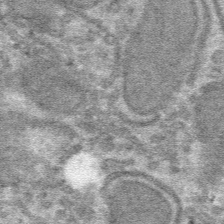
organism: Mouse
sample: Mouse hepatocytes